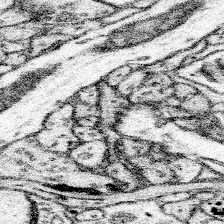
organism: Mouse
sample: Somatosensory cortex neuropil